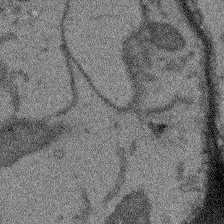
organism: Arabidopsis thaliana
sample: Root tip